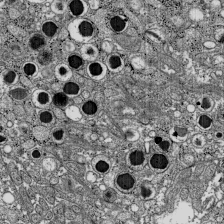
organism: C57BL Mouse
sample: Pancreatic islet